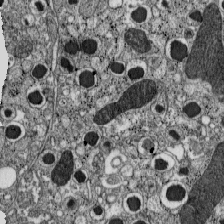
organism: C57BL Mouse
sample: Pancreatic islet